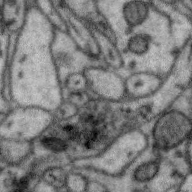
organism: Zebra finch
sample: Brain